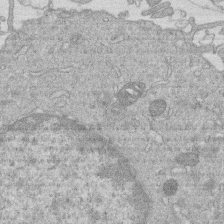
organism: Human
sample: Macrophage cells